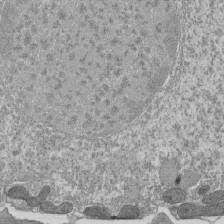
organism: Tetrahymena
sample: Cilia in tetrahymena